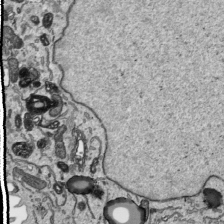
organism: Human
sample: Mitochondria in HCT116 cells